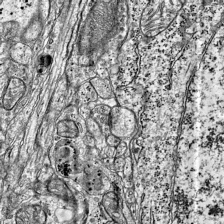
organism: Mouse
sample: Visual Cortex